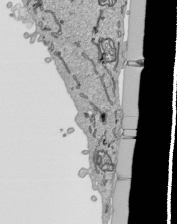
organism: Human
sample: Mitochondria in HCT116 cells